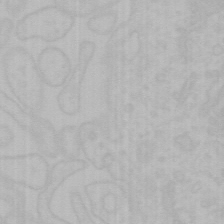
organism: Mouse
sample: Choroid plexus